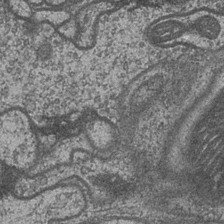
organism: Drosophila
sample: Optic medulla